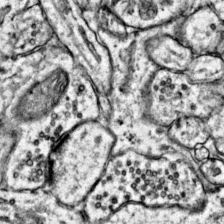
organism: Mouse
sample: Primary visual cortex